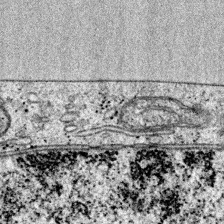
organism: Human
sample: HeLa cells